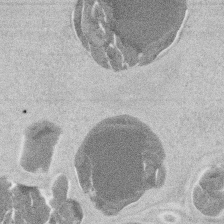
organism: Mouse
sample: T cell stromal cell synapse